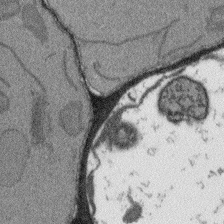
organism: Arabidopsis thaliana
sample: Root tip